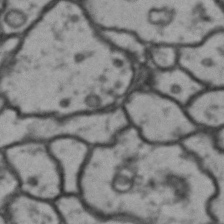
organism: Drosophila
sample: Brain